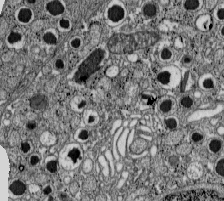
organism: C57BL Mouse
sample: Pancreatic islet